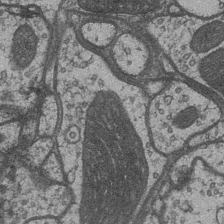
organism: Drosophila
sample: Optic medulla